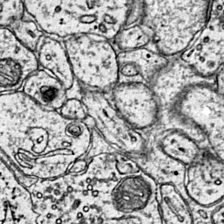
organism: Mouse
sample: Primary visual cortex